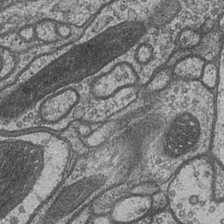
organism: Drosophila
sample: Optic medulla